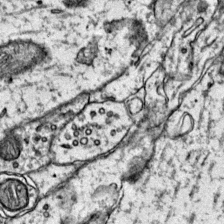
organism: Mouse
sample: Primary visual cortex